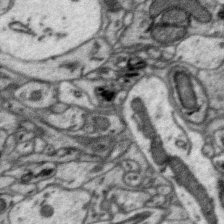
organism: Zebra finch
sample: Brain